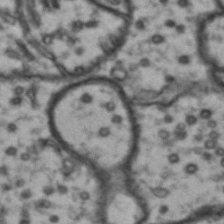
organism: Drosophila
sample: Brain